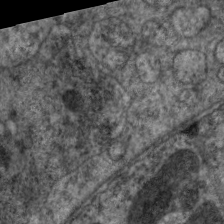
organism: C. elegans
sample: Pharynx